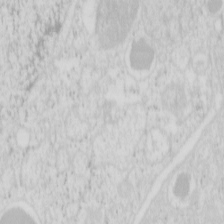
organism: Mouse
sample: Pancreas